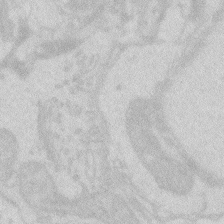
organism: Zebrafish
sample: Macrophage